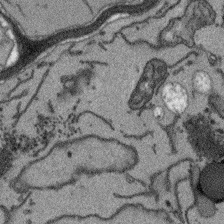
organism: Arabidopsis thaliana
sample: Root tip